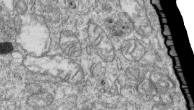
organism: Human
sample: HeLa cell HIV synapse